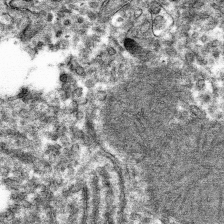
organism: Mouse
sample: Mouse hepatocytes